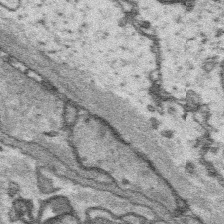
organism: Platynereis dumerilii